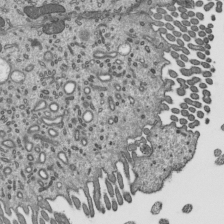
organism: Mouse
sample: Mouse epididymis efferent ductule cilia